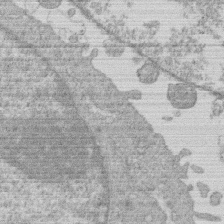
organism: Human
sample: Macrophage cells